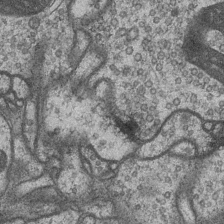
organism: Drosophila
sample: Optic medulla